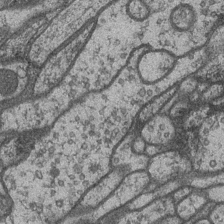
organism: Drosophila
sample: Optic medulla